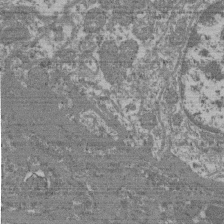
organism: Mouse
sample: Glomerulus